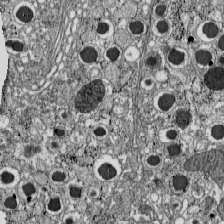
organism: C57BL Mouse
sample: Pancreatic islet